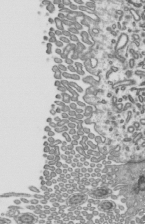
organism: Mouse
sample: Mouse epididymis efferent ductule cilia